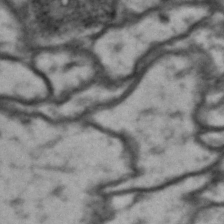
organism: Drosophila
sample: Brain